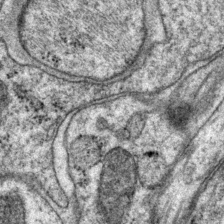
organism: P. pacificus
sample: Pharynx